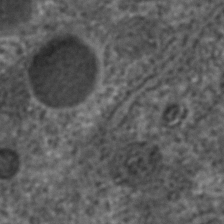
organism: C. elegans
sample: C. elegans embryo